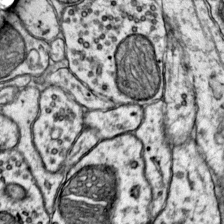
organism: Mouse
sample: Primary visual cortex